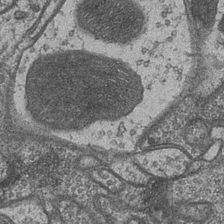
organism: Drosophila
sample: Optic medulla